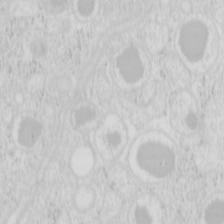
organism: Mouse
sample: Pancreas